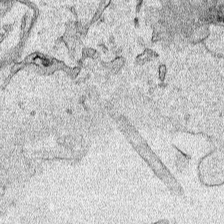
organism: Human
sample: Mitochondria in HCT116 cells